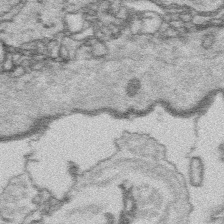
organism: Platynereis dumerilii